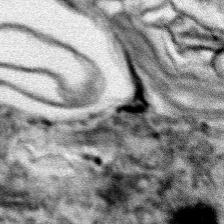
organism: Human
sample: Mitochondria in HCT116 cells